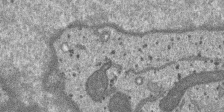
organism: Human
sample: Lung epithelial cells infected with SARS-CoV-2